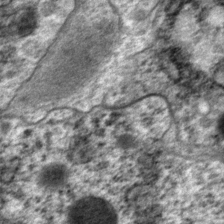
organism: P. pacificus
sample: Pharynx